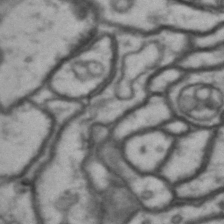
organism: Drosophila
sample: Brain